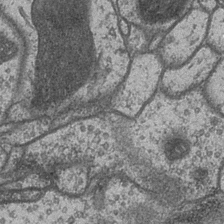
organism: Drosophila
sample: Optic medulla